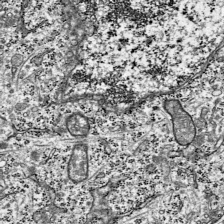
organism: Mouse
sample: Visual Cortex